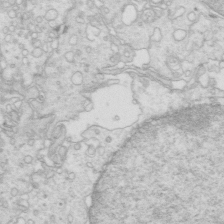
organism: Mouse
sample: Multiciliated cells